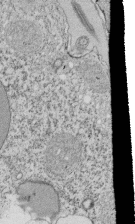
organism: Tetrahymena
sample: Cilia in tetrahymena